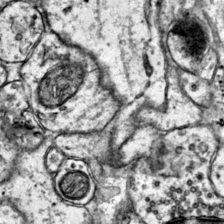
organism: Mouse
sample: Primary visual cortex